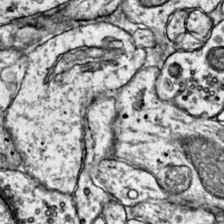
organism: Mouse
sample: Primary visual cortex